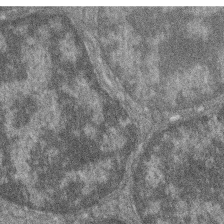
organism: Zebrafish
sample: Cilia; retinal pigment epithelium